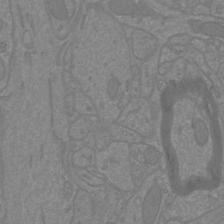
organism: Mouse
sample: Cortical neurons